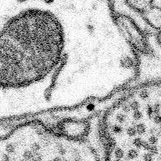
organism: Mouse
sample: Somatosensory cortex neuropil